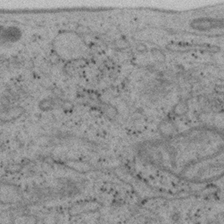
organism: Human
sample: HeLa cells